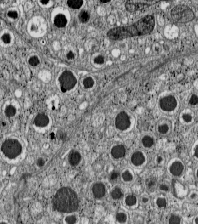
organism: C57BL Mouse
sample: Pancreatic islet